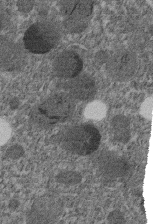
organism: C. elegans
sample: C. elegans embryo early stage